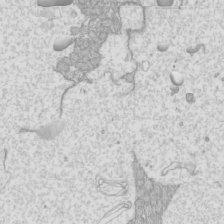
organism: Mouse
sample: Cilia; mouse epididymis